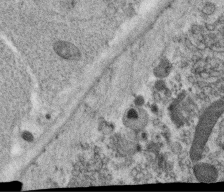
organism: C. elegans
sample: C. elegans oocyte; sperm cells